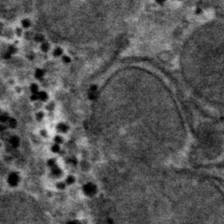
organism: Mouse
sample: Mouse hepatocytes